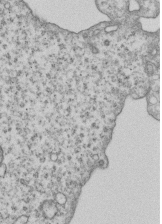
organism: Human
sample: MDA-MB-231 cells